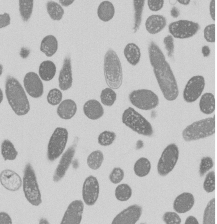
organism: E. coli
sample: Bacterial nucleoid